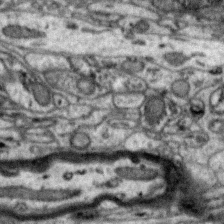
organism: Zebra finch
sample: Brain